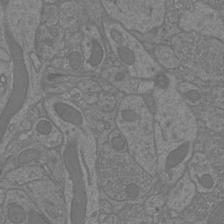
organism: Mouse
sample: Cortical neurons